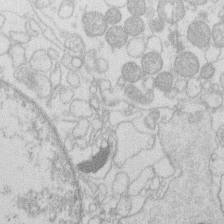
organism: Human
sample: Macrophage cells